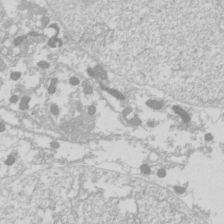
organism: Drosophila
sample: Cell division; meiosis; drosophila spermatocytes